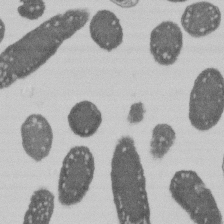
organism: E. coli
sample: Bacterial nucleoid